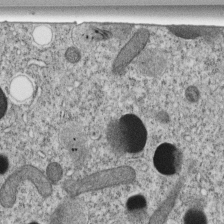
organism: C. elegans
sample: C. elegans embryo early stage